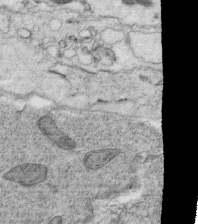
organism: C. elegans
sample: C. elegans oocyte; sperm cells